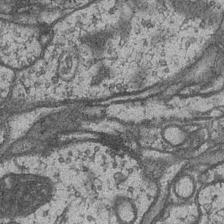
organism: Drosophila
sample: Optic medulla